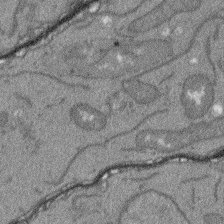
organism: Arabidopsis thaliana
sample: Root tip